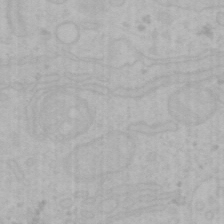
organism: Mouse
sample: Choroid plexus